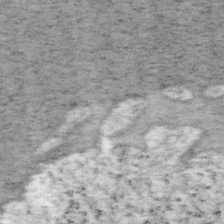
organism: Mouse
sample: OT-I killer T cells with ID8 ovarian cancer cells